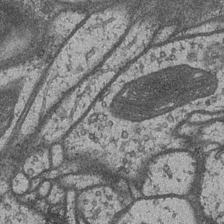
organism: Drosophila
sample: Optic medulla